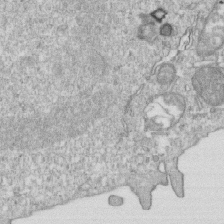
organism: Mouse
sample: Activated OT-1 CD8+ T cells